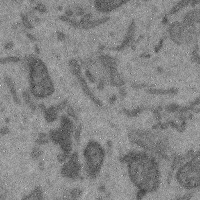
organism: Mouse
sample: Cerebral cortex